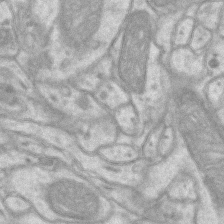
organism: Mouse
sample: CA1 Hippocampus